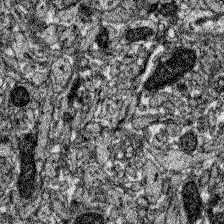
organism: Zebrafish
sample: Larval olfactory bulb